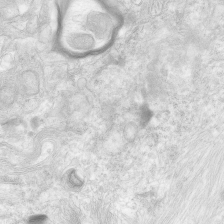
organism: Human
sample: Neocortex